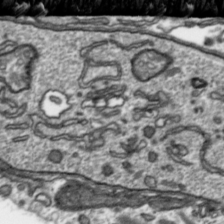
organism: Toxoplasma gondii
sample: Parasites in a vacuole inside a host cell